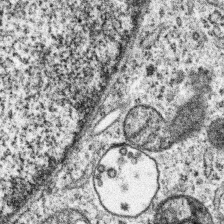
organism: Human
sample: HeLa cells